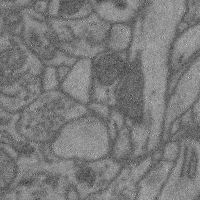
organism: Mouse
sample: Cerebral cortex